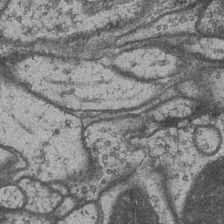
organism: Drosophila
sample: Optic medulla